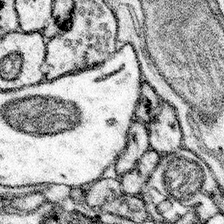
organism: Mouse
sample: Somatosensory cortex neuropil